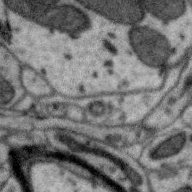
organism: Zebra finch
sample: Brain